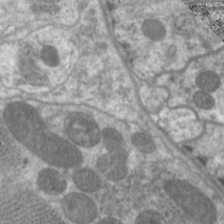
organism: C. elegans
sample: Pharynx